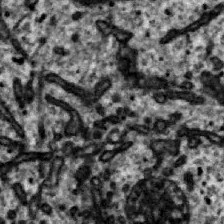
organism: Human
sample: HeLa cells